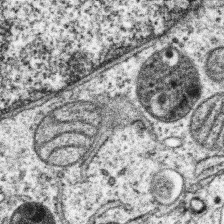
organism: Human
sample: HeLa cells